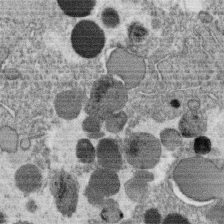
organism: C. elegans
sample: C. elegans oocyte; sperm cells